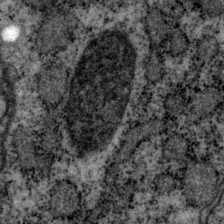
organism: P. pacificus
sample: Pharynx